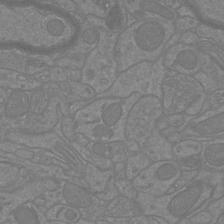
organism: Mouse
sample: Cortical neurons